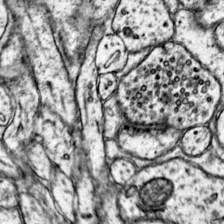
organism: Mouse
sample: Primary visual cortex